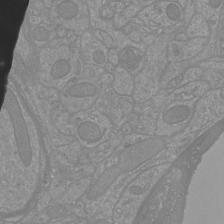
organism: Mouse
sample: Cortical neurons